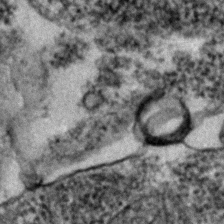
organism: Zebrafish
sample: Zebrafish embryo